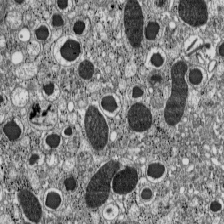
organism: C57BL Mouse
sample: Pancreatic islet